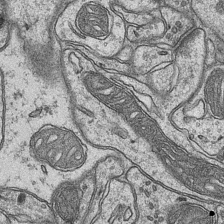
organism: Mouse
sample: CA1 Hippocampus